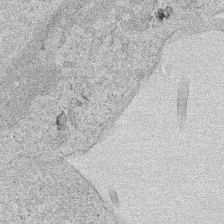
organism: Human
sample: Mitochondria in HCT116 cells